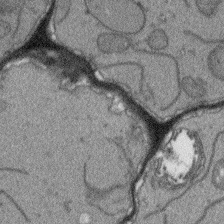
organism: Arabidopsis thaliana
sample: Root tip